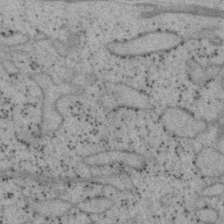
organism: Human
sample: HeLa cells